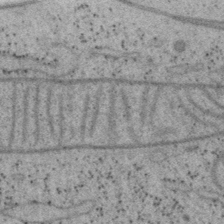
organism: Human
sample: HeLa cells